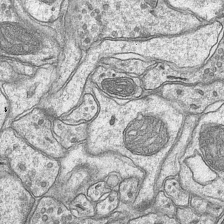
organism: Mouse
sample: CA1 Hippocampus